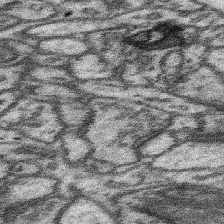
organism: Mouse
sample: Somatosensory cortex neuropil